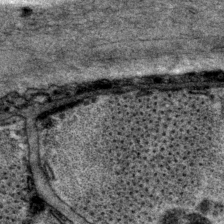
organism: P. pacificus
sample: Pharynx